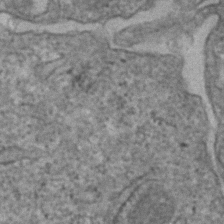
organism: Human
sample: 1205lu cells